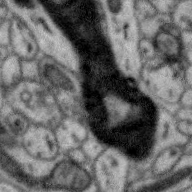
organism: Zebra finch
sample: Brain